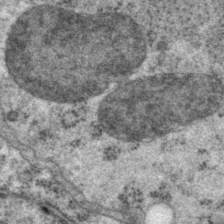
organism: P. pacificus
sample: Pharynx